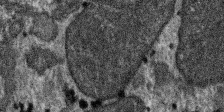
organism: Human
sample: Lung epithelial cells infected with SARS-CoV-2